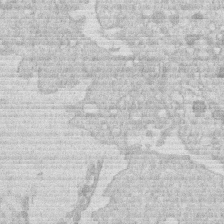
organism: Human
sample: Macrophage cells